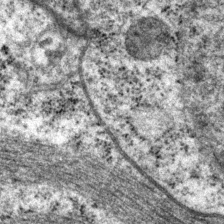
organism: P. pacificus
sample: Pharynx